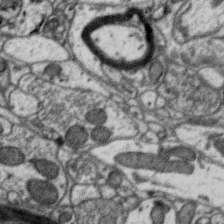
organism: Zebra finch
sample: Brain